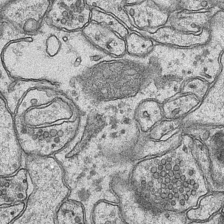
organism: Mouse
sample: CA1 Hippocampus